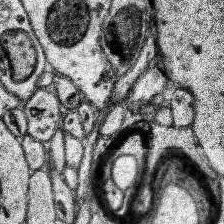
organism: Human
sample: Temporal Lobe